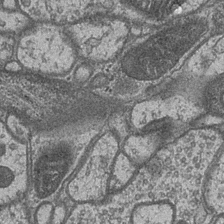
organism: Drosophila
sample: Optic medulla